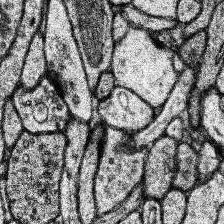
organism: Human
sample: Temporal Lobe